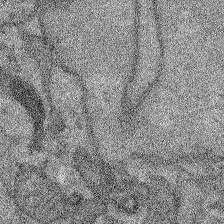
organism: Human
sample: HeLa cells